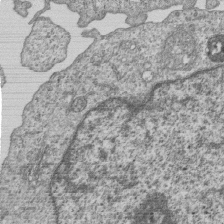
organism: Human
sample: MDA-MB-231 cells